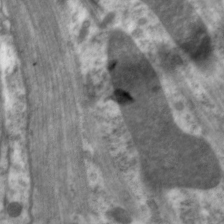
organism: C. elegans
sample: Pharynx